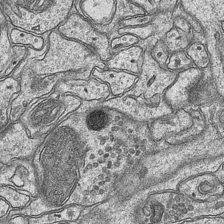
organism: Mouse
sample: CA1 Hippocampus